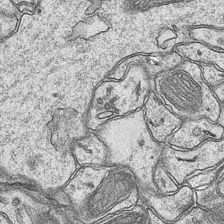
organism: Mouse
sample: CA1 Hippocampus